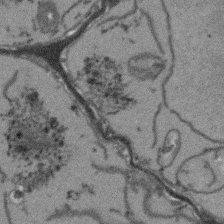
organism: Arabidopsis thaliana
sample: Root tip